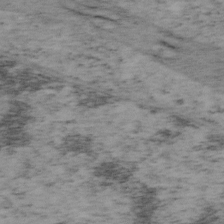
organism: Mouse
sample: OT-I killer T cells with ID8 ovarian cancer cells